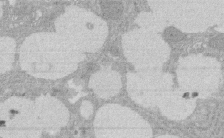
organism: Rat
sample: Salivary granule